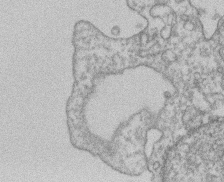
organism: Mouse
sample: T cell stromal cell synapse